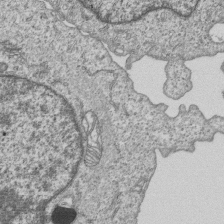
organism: Human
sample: MDA-MB-231 cells